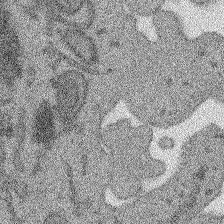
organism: Human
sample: HeLa cells